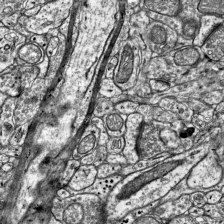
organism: Mouse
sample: Visual Cortex